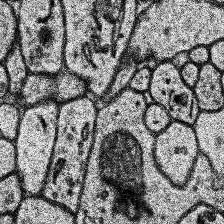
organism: Human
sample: Temporal Lobe